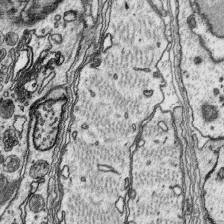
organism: Platynereis dumerilii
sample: Parapodia